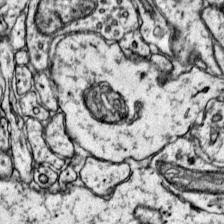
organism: Mouse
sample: Primary visual cortex